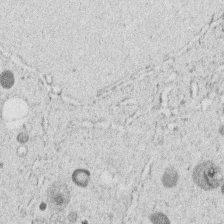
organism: C. elegans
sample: C. elegans embryo early stage